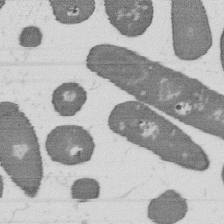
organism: B. subtilis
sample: Bacterial spore